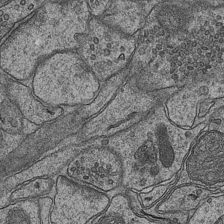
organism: Mouse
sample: CA1 Hippocampus